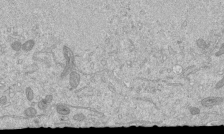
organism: Mouse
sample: ED-1 cell nuclei; centrioles